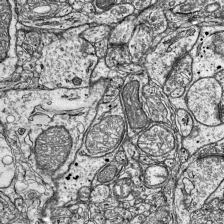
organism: Mouse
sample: Visual Cortex